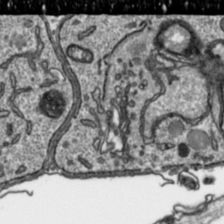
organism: Toxoplasma gondii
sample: Parasites in a vacuole inside a host cell